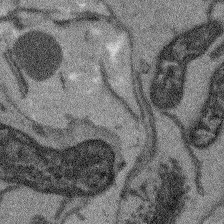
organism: Arabidopsis thaliana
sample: Root tip